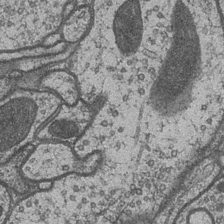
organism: Drosophila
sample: Optic medulla